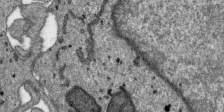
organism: Human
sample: Lung epithelial cells, uninfected (mock) control